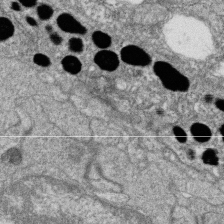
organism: Zebrafish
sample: Cilia; retinal pigment epithelium